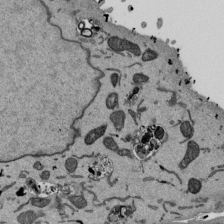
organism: Mouse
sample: ED-1 cell nuclei; centrioles